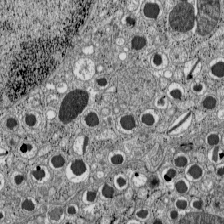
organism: C57BL Mouse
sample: Pancreatic islet